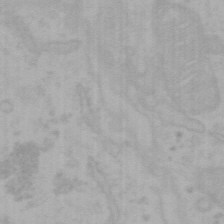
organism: Mouse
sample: Choroid plexus